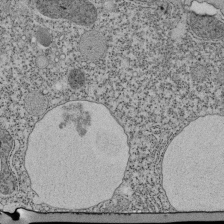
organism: Tetrahymena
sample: Cilia in tetrahymena